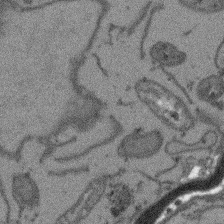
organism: Arabidopsis thaliana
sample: Root tip